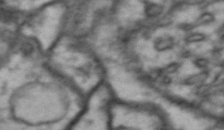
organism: Drosophila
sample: Brain